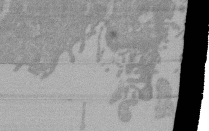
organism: Mouse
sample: ED-1 cell nuclei; centrioles